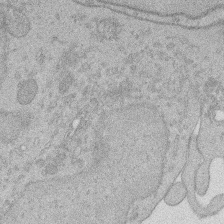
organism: Rat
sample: Salivary granule